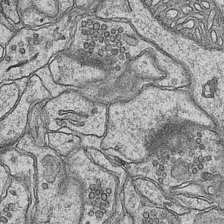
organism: Mouse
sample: CA1 Hippocampus